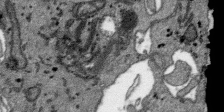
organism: Human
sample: Lung epithelial cells, uninfected (mock) control